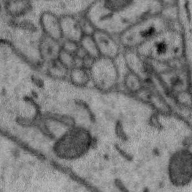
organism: Zebra finch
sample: Brain